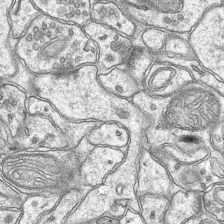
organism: Mouse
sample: CA1 Hippocampus